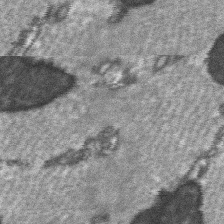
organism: C57BL Mouse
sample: Soleus